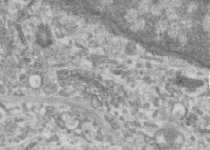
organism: Human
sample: Centriole in RPE cells